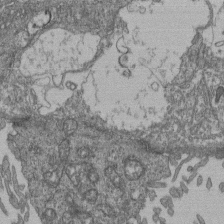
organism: Human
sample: Retinal organoid Rod and Cone cells